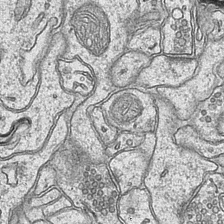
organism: Mouse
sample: CA1 Hippocampus